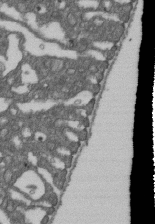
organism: Drosophila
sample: Nephrocyte